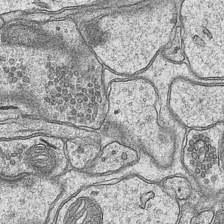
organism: Mouse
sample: CA1 Hippocampus